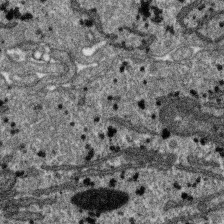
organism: Human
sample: Lung epithelial cells infected with SARS-CoV-2